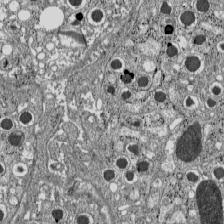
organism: C57BL Mouse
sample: Pancreatic islet